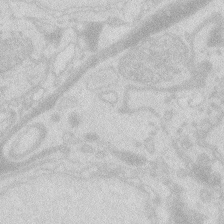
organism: Zebrafish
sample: Macrophage